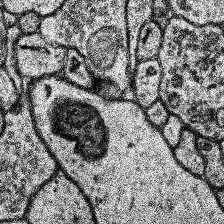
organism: Human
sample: Temporal Lobe